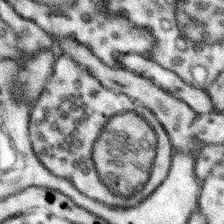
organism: Mouse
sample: Somatosensory cortex neuropil